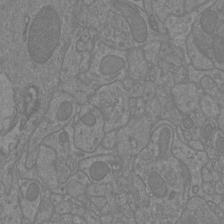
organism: Mouse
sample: Cortical neurons